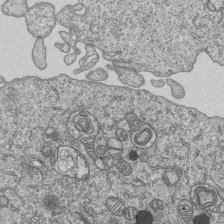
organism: Human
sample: MDA-MB-231 cells